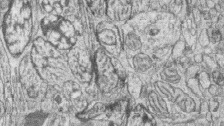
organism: Zebrafish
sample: synaptic ribbons in rod cells and cone cells